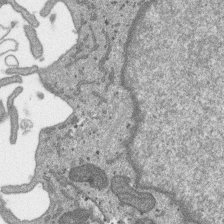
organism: Human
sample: Lung epithelial cells infected with SARS-CoV-2